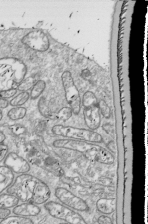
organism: Drosophila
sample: Cell division; meiosis; drosophila spermatocytes